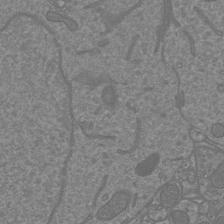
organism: Mouse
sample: Cortical neurons